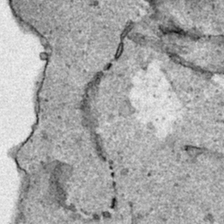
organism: Human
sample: Mitochondria in HCT116 cells